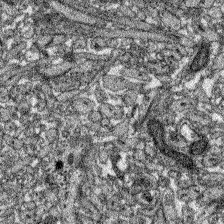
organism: Zebrafish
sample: Larval olfactory bulb